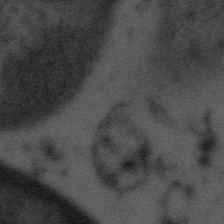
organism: Tuwongella immobilis